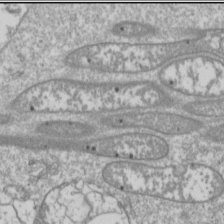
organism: Drosophila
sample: Cell division; meiosis; drosophila spermatocytes